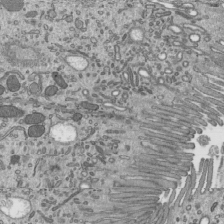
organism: Mouse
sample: Mouse epididymis efferent ductule cilia